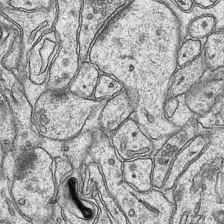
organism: Mouse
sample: CA1 Hippocampus